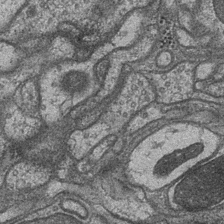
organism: Drosophila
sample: Optic medulla